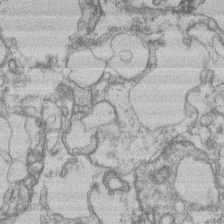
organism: Mouse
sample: T cell stromal cell synapse